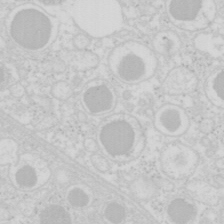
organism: Mouse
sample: Pancreas